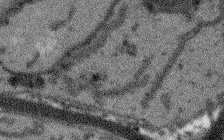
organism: Arabidopsis thaliana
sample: Root tip